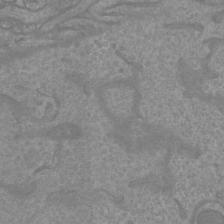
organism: Mouse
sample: Cortical neurons